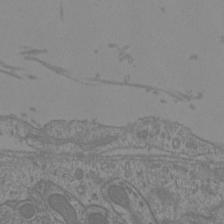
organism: Mouse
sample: Cortical neurons